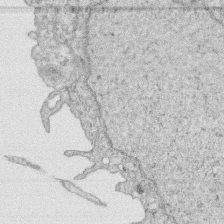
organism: Human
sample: HeLa cell HIV synapse